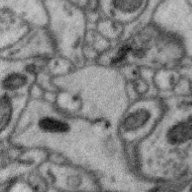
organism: Zebra finch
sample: Brain